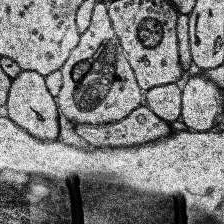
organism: Human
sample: Temporal Lobe